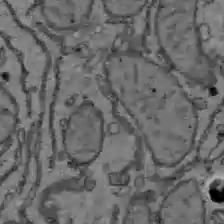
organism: C57BL Mouse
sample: Liver